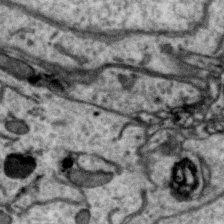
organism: Zebra finch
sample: Brain